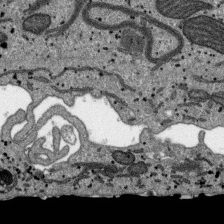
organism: Human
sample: Lung epithelial cells, uninfected (mock) control